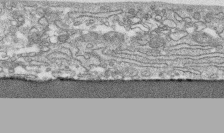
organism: Human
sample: CRL-1474